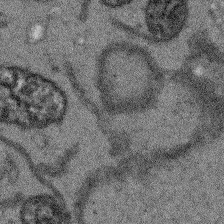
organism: Arabidopsis thaliana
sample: Root tip